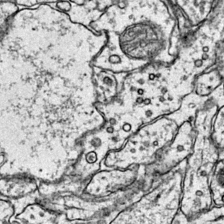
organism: Mouse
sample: Primary visual cortex